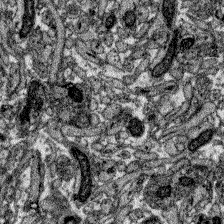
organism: Zebrafish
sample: Larval olfactory bulb